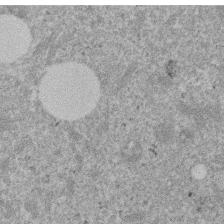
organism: Mouse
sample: Dividing mouse embryo 1 cell stage